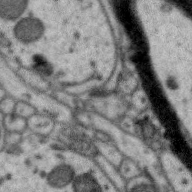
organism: Zebra finch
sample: Brain